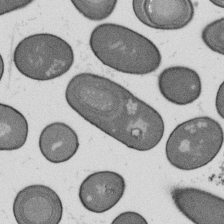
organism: B. subtilis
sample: Bacterial spore